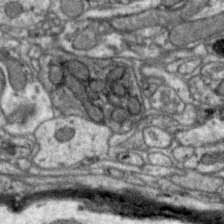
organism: Zebra finch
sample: Brain